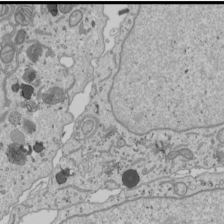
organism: Human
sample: Mitochondria in U2OS cells